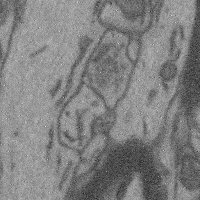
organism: Mouse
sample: Cerebral cortex